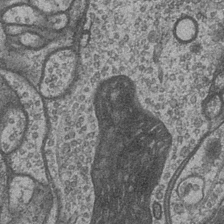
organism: Drosophila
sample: Optic medulla